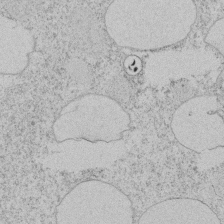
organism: Tetrahymena